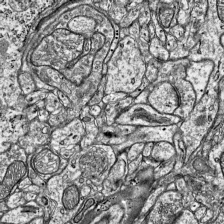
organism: Mouse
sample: Visual Cortex